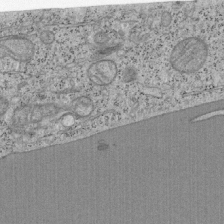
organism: Human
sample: HeLa cells